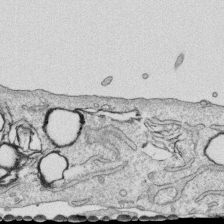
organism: Human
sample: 1205lu cells